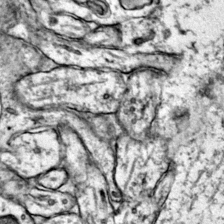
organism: Mouse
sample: Primary visual cortex